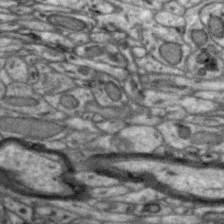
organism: Zebra finch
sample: Brain